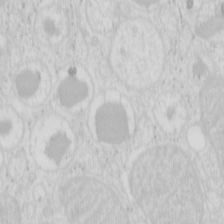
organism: Mouse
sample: Pancreas